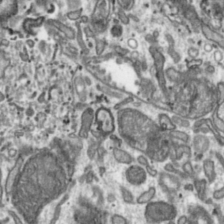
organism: Toxoplasma gondii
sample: Parasites in a vacuole inside a host cell